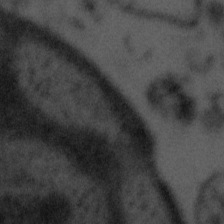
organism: Tuwongella immobilis